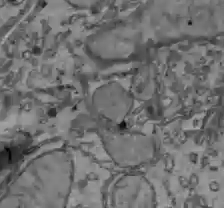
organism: C57BL Mouse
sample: Liver